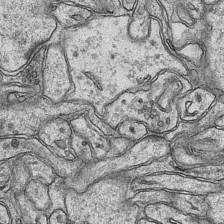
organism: Mouse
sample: CA1 Hippocampus